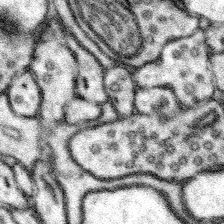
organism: Mouse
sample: Somatosensory cortex neuropil